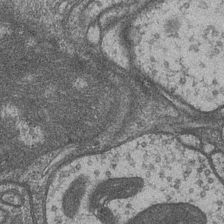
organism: Drosophila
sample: Optic medulla